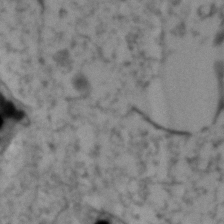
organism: Zebrafish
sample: Zebrafish embryo